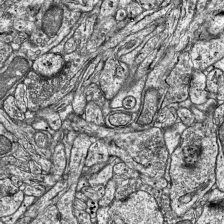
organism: Mouse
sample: Visual Cortex